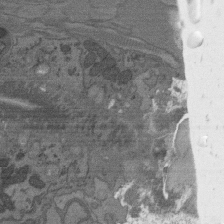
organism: C. elegans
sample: AFD neurons C. elegans